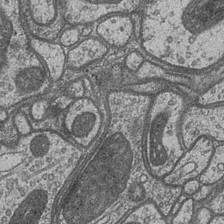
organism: Drosophila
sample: Optic medulla